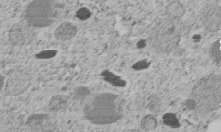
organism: C. elegans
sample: C. elegans embryo early stage